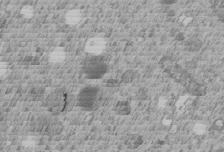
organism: C. elegans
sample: C. elegans embryo early stage